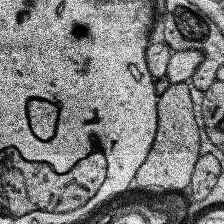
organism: Human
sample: Temporal Lobe